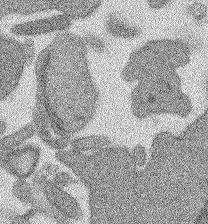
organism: Human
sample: HeLa cells